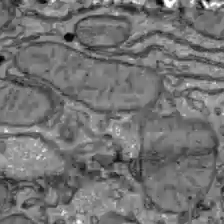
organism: C57BL Mouse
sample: Liver